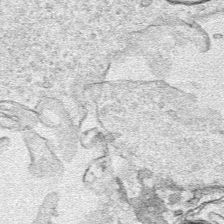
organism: Human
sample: Mitochondria in HCT116 cells